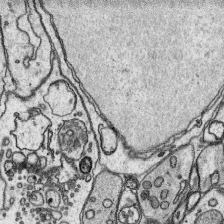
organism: Platynereis dumerilii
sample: Parapodia